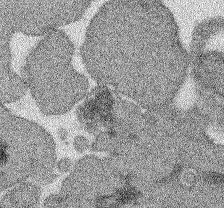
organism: Human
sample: HeLa cells